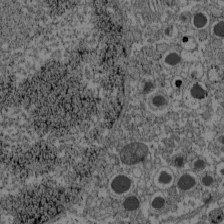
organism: C57BL Mouse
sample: Pancreatic islet